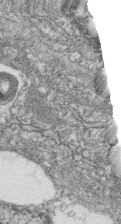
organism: Zebrafish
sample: Cilia; retinal pigment epithelium